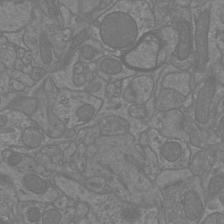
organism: Mouse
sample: Cortical neurons